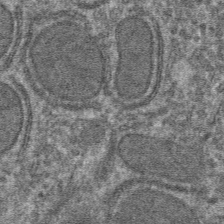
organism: Mouse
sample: Mouse hepatocytes